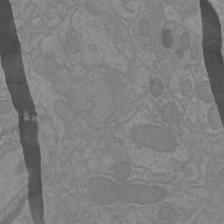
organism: Mouse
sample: Cortical neurons